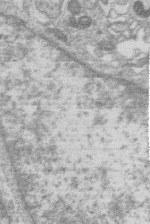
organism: Human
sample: Macrophage cells